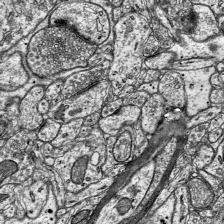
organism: Mouse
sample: Visual Cortex